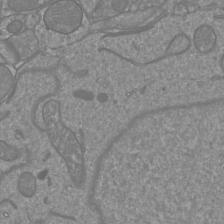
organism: Mouse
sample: Cortical neurons